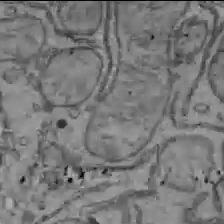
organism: C57BL Mouse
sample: Liver